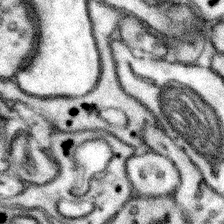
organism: Mouse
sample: Somatosensory cortex neuropil